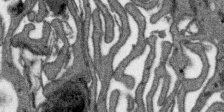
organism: Human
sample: Lung epithelial cells, uninfected (mock) control